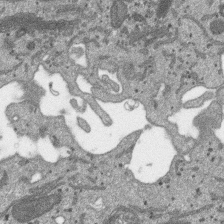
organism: Human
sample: Lung epithelial cells infected with SARS-CoV-2